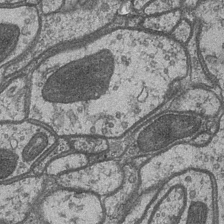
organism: Drosophila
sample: Optic medulla